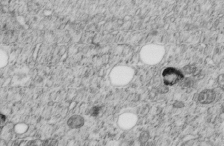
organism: C. elegans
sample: C. elegans embryo early stage